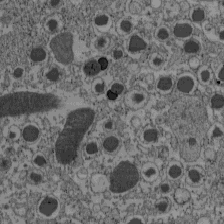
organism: C57BL Mouse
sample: Pancreatic islet